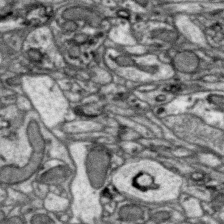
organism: Zebra finch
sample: Brain